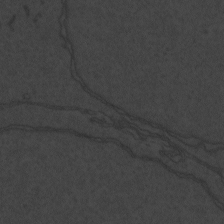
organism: Zebrafish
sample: Macrophage infected with Toxoplasma gondii